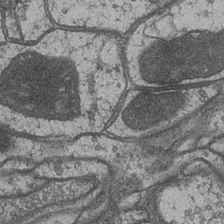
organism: Drosophila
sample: Optic medulla